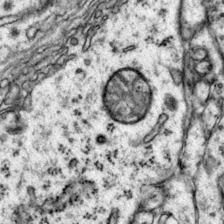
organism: Mouse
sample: Primary visual cortex